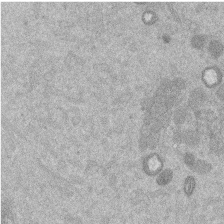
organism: Mouse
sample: Dividing mouse embryo 1 cell stage